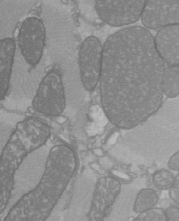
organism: C57BL Mouse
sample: Heart